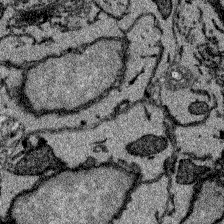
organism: Zebrafish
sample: Larval olfactory bulb